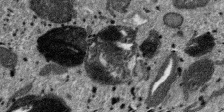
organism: Human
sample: Lung epithelial cells, uninfected (mock) control